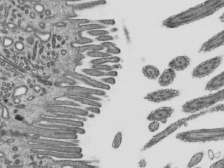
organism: Mouse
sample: Mouse epididymis efferent ductule cilia